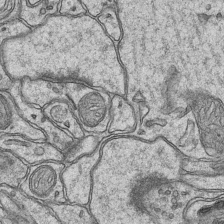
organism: Mouse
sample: CA1 Hippocampus